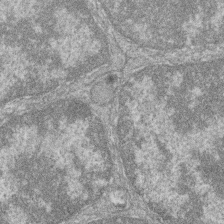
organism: Zebrafish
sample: Cilia; retinal pigment epithelium